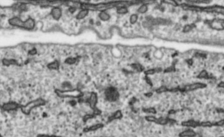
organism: Toxoplasma gondii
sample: Parasites in a vacuole inside a host cell